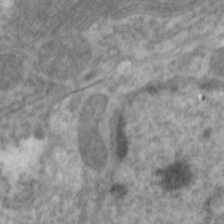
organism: C. elegans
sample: Pharynx